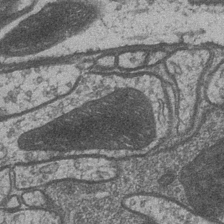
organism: Drosophila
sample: Optic medulla